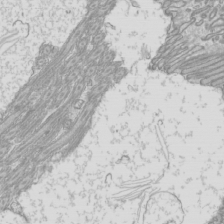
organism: Mouse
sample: Cilia; mouse epididymis